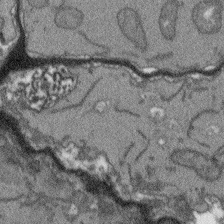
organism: Arabidopsis thaliana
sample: Root tip